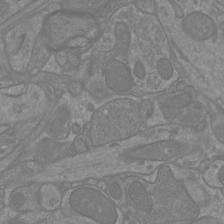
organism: Mouse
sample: Cortical neurons